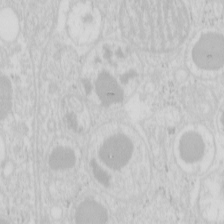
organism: Mouse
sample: Pancreas